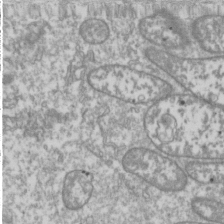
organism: Drosophila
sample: Cell division; meiosis; drosophila spermatocytes